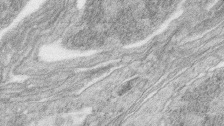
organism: Zebrafish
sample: synaptic ribbons in rod cells and cone cells